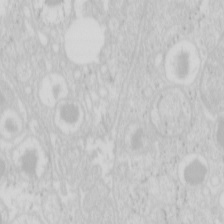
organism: Mouse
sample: Pancreas